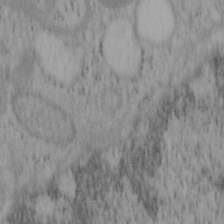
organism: Mouse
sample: OT-I killer T cells with ID8 ovarian cancer cells